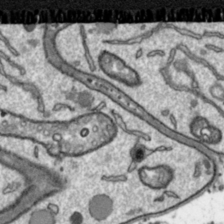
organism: Toxoplasma gondii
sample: Parasites in a vacuole inside a host cell